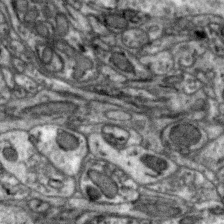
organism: Zebra finch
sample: Brain